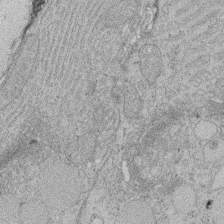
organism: Rat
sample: Salivary granule